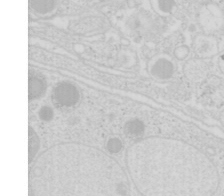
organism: Mouse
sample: Pancreas